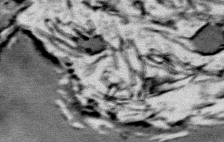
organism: Mouse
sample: Mouse Salivary gland